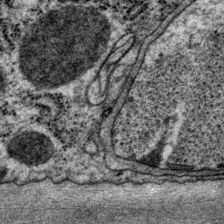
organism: P. pacificus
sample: Pharynx